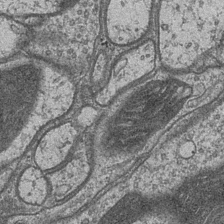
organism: Drosophila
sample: Optic medulla